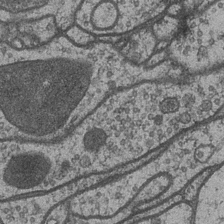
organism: Drosophila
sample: Optic medulla